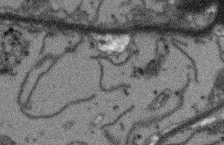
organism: Arabidopsis thaliana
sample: Root tip